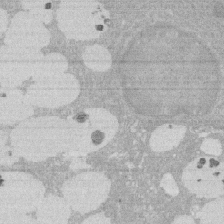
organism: Rat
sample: Salivary granule